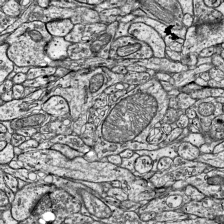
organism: Mouse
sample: Visual Cortex